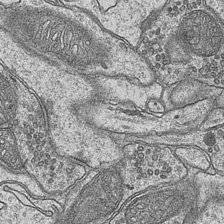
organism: Mouse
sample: CA1 Hippocampus